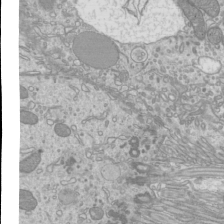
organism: Mouse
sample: Cilia; mouse epididymis